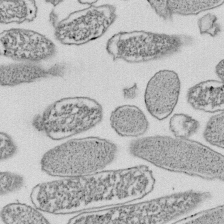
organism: E. coli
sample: Bacterial nucleoid